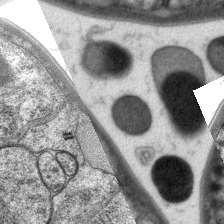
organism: C. elegans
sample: Pharynx